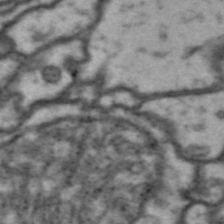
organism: Drosophila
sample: Brain